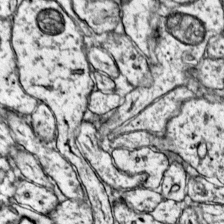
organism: Mouse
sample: Primary visual cortex